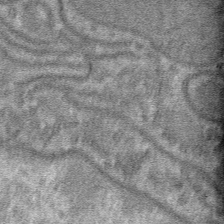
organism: Mouse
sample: Mouse hepatocytes